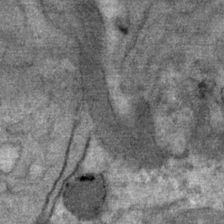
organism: Mouse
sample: Mouse Salivary gland